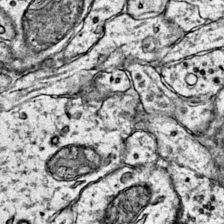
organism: Mouse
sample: Primary visual cortex